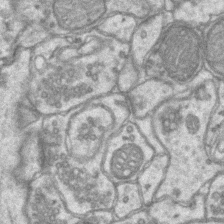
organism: Mouse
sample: CA1 Hippocampus